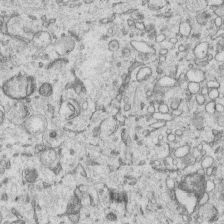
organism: Human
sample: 1205lu cells